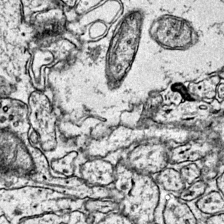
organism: Mouse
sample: Primary visual cortex